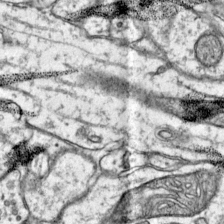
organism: Mouse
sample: Primary visual cortex